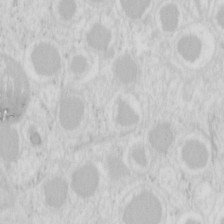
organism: Mouse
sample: Pancreas